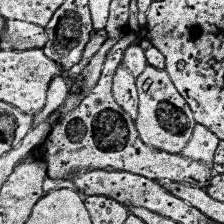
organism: Human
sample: Temporal Lobe